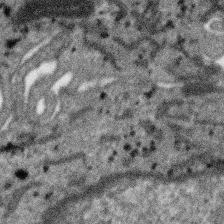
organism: Human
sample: Lung epithelial cells infected with SARS-CoV-2